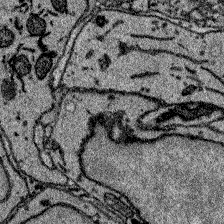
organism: Zebrafish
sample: Larval olfactory bulb